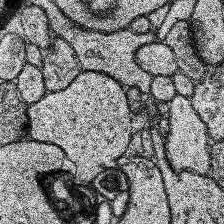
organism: Human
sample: Temporal Lobe